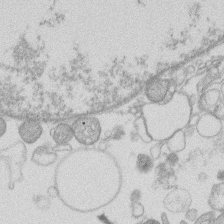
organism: Human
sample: Macrophage cells